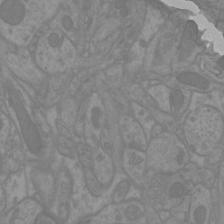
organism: Mouse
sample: Cortical neurons